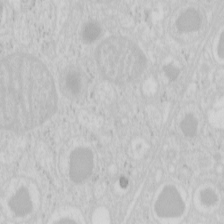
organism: Mouse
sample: Pancreas